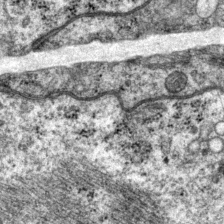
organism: P. pacificus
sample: Pharynx